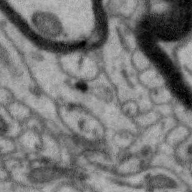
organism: Zebra finch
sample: Brain